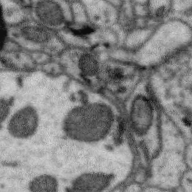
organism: Zebra finch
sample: Brain